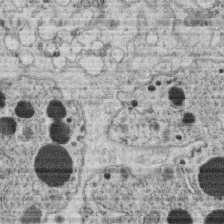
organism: C. elegans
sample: C. elegans oocyte; sperm cells